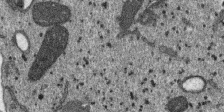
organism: Human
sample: Lung epithelial cells infected with SARS-CoV-2